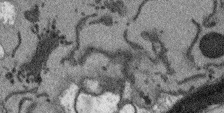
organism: Arabidopsis thaliana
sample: Root tip